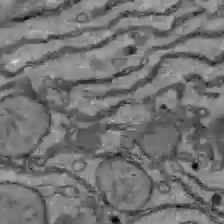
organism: C57BL Mouse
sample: Liver